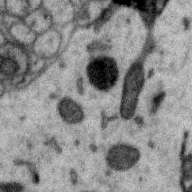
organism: Zebra finch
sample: Brain